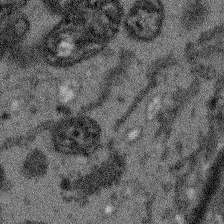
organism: Arabidopsis thaliana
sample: Root tip